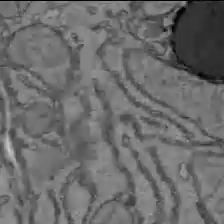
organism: C57BL Mouse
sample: Liver